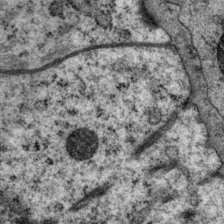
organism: P. pacificus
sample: Pharynx